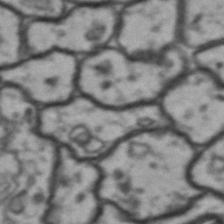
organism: Drosophila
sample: Brain